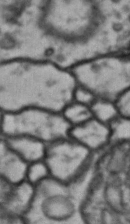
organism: Drosophila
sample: Brain